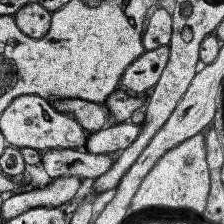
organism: Human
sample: Temporal Lobe